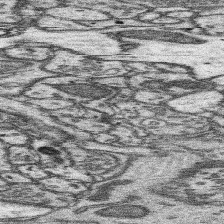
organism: Mouse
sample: Somatosensory cortex neuropil